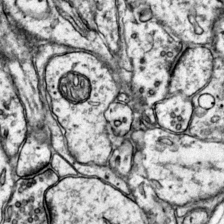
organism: Mouse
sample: Primary visual cortex